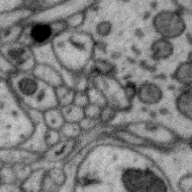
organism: Zebra finch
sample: Brain